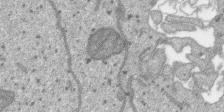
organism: Human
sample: Lung epithelial cells infected with SARS-CoV-2